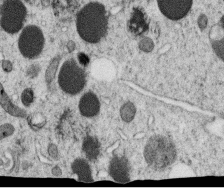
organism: C. elegans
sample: C. elegans oocyte; sperm cells